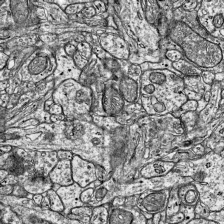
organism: Mouse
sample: Visual Cortex